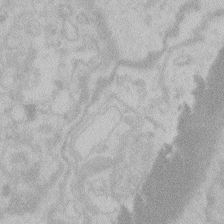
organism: Zebrafish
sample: Macrophage infected with Toxoplasma gondii